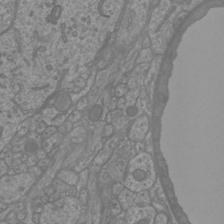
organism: Mouse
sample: Cortical neurons